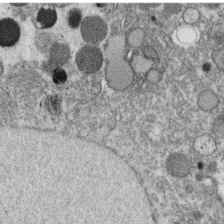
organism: C. elegans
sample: C. elegans oocyte; sperm cells